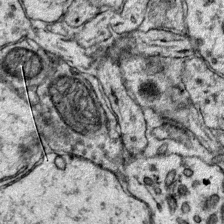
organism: Mouse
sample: Primary visual cortex